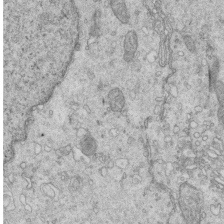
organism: Mouse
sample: Multiciliated cells